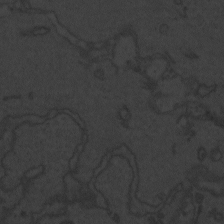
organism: Zebrafish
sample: Macrophage infected with Toxoplasma gondii